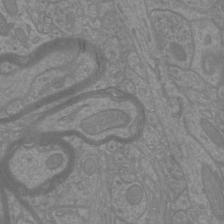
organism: Mouse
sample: Cortical neurons